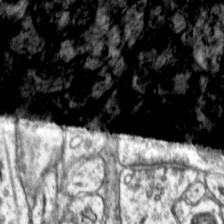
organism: Mouse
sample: Primary visual cortex